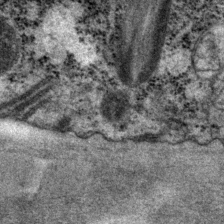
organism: P. pacificus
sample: Pharynx